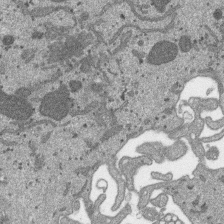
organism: Human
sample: Lung epithelial cells infected with SARS-CoV-2